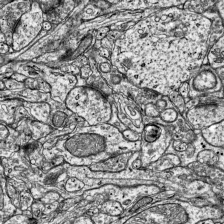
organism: Mouse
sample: Visual Cortex